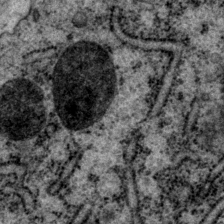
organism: P. pacificus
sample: Pharynx